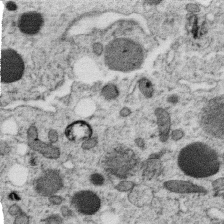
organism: C. elegans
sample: C. elegans oocyte; sperm cells